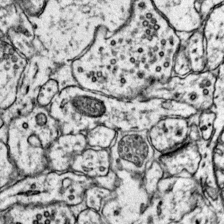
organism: Mouse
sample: Primary visual cortex